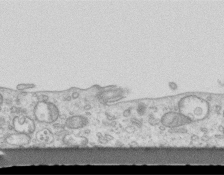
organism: Mouse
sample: Centriole in ependymal cells